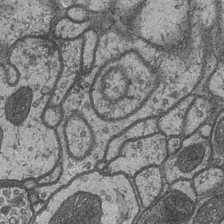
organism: Drosophila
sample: Optic medulla